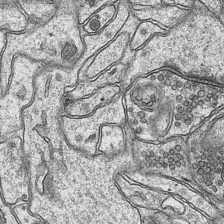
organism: Mouse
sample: CA1 Hippocampus